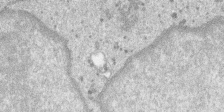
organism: Human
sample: Lung epithelial cells infected with SARS-CoV-2